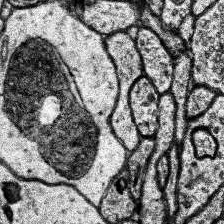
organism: Human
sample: Temporal Lobe